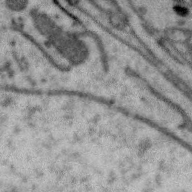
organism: Zebra finch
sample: Brain